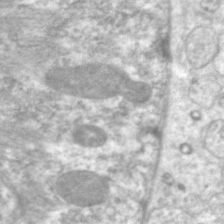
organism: C. elegans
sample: Pharynx